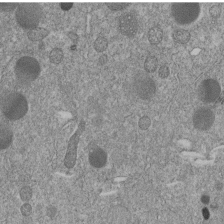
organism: C. elegans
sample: C. elegans embryo early stage